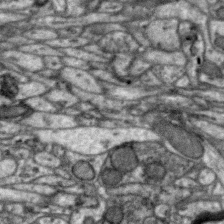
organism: Zebra finch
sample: Brain